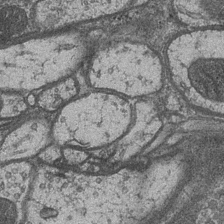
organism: Drosophila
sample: Optic medulla